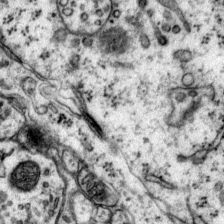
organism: Mouse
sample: Primary visual cortex